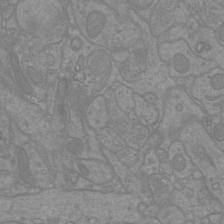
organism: Mouse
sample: Cortical neurons